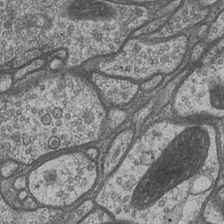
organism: Drosophila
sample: Optic medulla